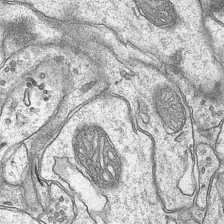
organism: Mouse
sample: CA1 Hippocampus